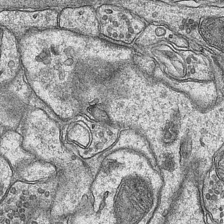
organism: Mouse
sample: CA1 Hippocampus